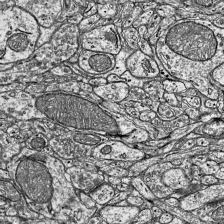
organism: Mouse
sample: Visual Cortex